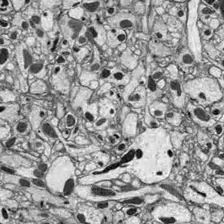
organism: Drosophila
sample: Optic lobe